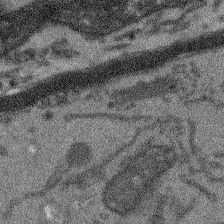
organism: Arabidopsis thaliana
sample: Root tip